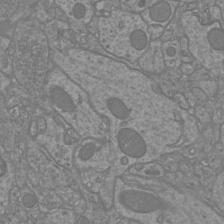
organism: Mouse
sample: Cortical neurons